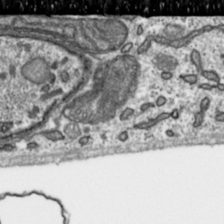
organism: Toxoplasma gondii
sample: Parasites in a vacuole inside a host cell